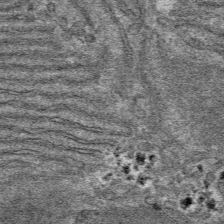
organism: Mouse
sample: Mouse hepatocytes